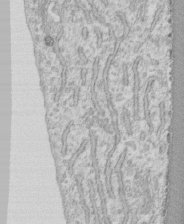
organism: Human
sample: CRL-1474